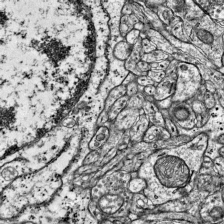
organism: Mouse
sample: Visual Cortex